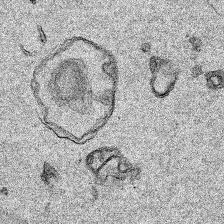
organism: Human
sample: Mitochondria in HCT116 cells